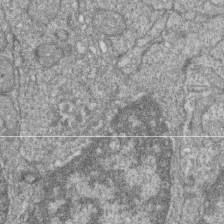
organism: Zebrafish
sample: Cilia; retinal pigment epithelium